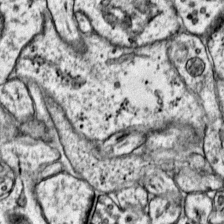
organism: Mouse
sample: Primary visual cortex